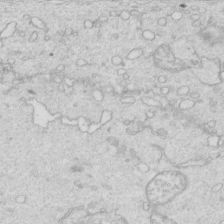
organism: Mouse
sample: Multiciliated cells